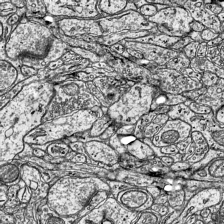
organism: Mouse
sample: Visual Cortex